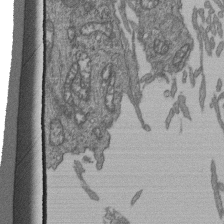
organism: Human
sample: Retinal organoid Rod and Cone cells